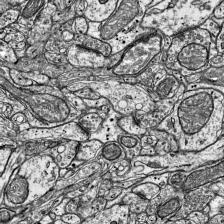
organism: Mouse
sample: Visual Cortex